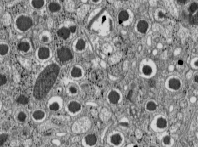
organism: C57BL Mouse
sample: Pancreatic islet